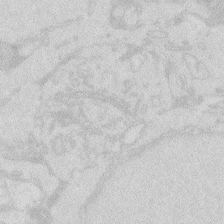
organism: Zebrafish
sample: Macrophage